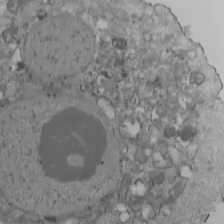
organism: Human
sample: Jurkat E6-1 and CD4 cells